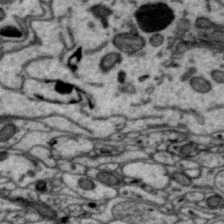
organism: Zebra finch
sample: Brain